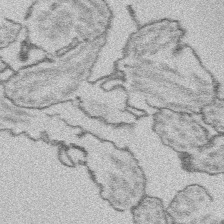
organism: Platynereis dumerilii